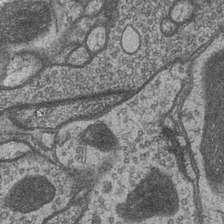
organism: Drosophila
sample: Optic medulla